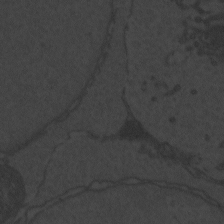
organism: Zebrafish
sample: Macrophage infected with Toxoplasma gondii